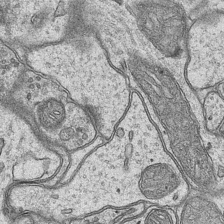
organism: Mouse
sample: CA1 Hippocampus